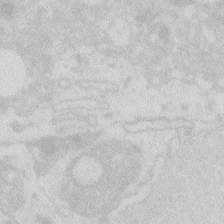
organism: Zebrafish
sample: Macrophage